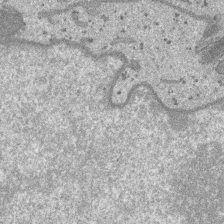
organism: Human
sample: Lung epithelial cells infected with SARS-CoV-2